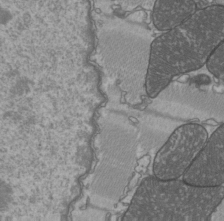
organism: C57BL Mouse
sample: Heart